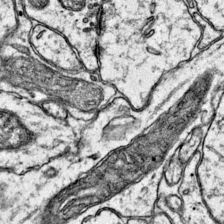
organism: Mouse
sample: Primary visual cortex